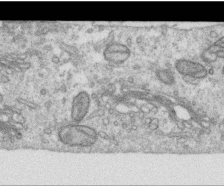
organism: Human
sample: Centriole in RPE cells